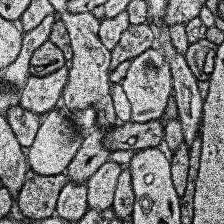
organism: Human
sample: Temporal Lobe